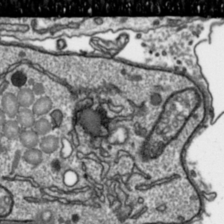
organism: Toxoplasma gondii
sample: Parasites in a vacuole inside a host cell